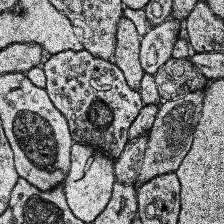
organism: Human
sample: Temporal Lobe